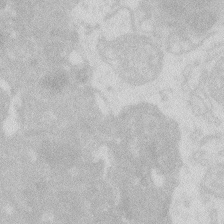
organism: Zebrafish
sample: Macrophage